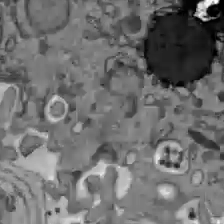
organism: C57BL Mouse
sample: Liver